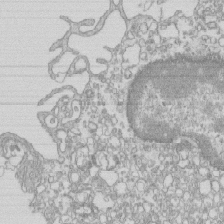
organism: Mouse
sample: Macrophages